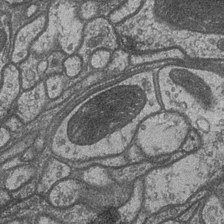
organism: Drosophila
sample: Optic medulla